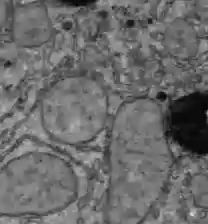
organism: C57BL Mouse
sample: Liver